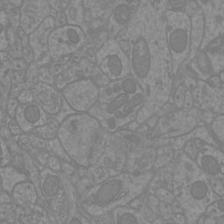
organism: Mouse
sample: Cortical neurons